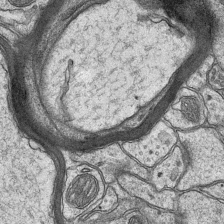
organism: Mouse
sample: CA1 Hippocampus